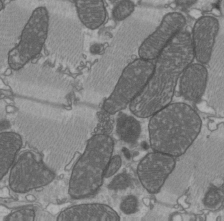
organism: C57BL Mouse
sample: Heart